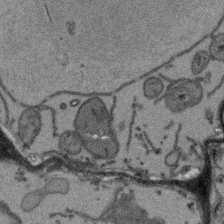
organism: Arabidopsis thaliana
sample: Root tip